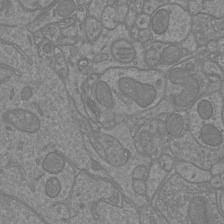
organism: Mouse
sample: Cortical neurons